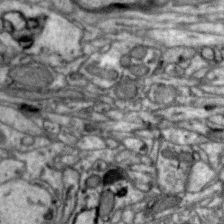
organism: Zebra finch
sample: Brain